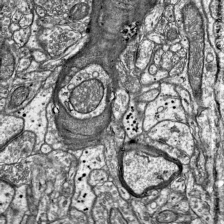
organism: Mouse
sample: Visual Cortex